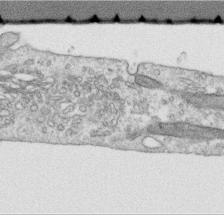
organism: Human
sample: Centriole in RPE cells